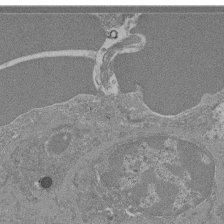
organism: Mouse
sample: Glomerulus